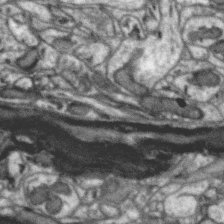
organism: Zebra finch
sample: Brain